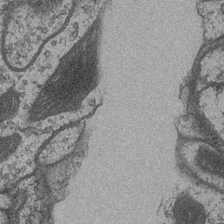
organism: Drosophila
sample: Optic medulla